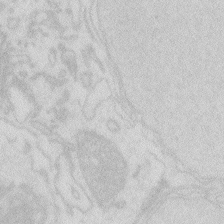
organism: Zebrafish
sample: Macrophage